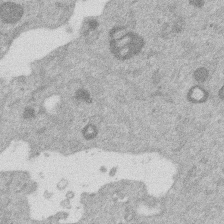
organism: Mouse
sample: Dividing mouse embryo 1 cell stage